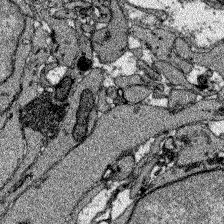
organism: Zebrafish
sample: Larval olfactory bulb